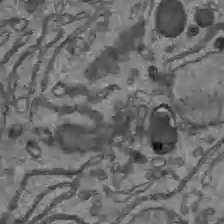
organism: C57BL Mouse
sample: Liver